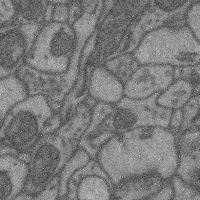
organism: Mouse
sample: Cerebral cortex